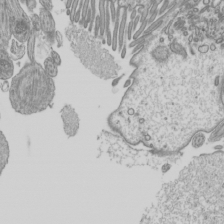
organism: Mouse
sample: Cilia; mouse epididymis